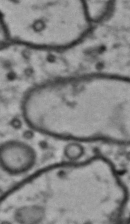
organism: Drosophila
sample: Brain